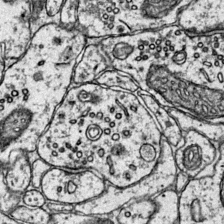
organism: Mouse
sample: Primary visual cortex